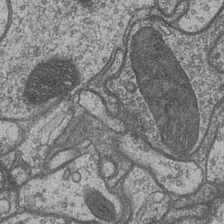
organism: Drosophila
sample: Optic medulla